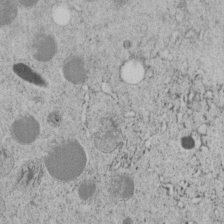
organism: C. elegans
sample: C. elegans embryo early stage